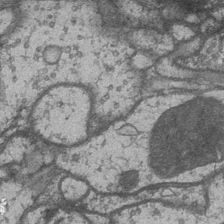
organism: Drosophila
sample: Optic medulla